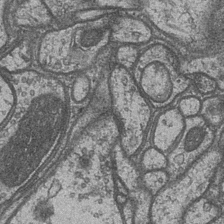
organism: Drosophila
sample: Optic medulla